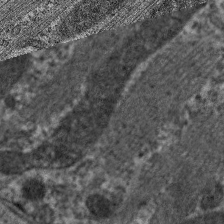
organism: C. elegans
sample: Pharynx